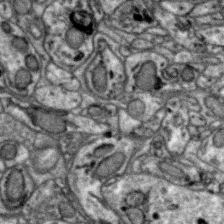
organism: Zebra finch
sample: Brain